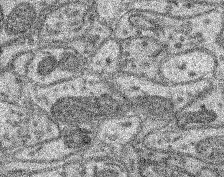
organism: Mouse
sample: Retina